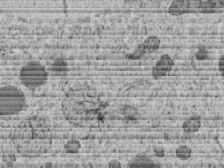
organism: C. elegans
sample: C. elegans embryo early stage